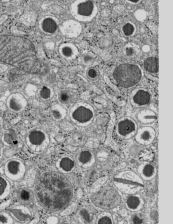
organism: C57BL Mouse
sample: Pancreatic islet